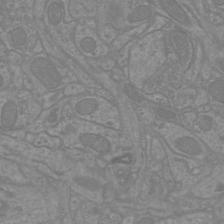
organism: Mouse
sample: Cortical neurons